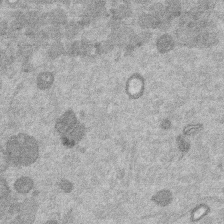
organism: Mouse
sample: Dividing mouse embryo 1 cell stage